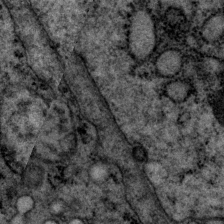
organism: P. pacificus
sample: Pharynx